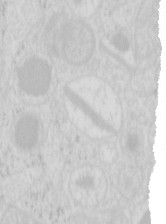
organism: Mouse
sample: Pancreas